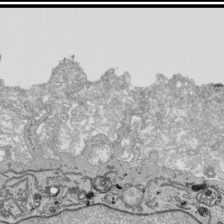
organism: Human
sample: Mitochondria in HCT116 cells